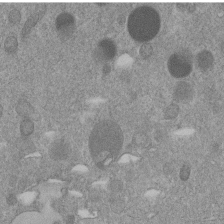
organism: C. elegans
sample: C. elegans embryo early stage